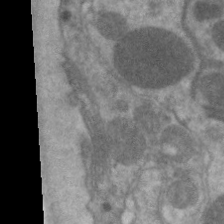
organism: C. elegans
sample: Pharynx